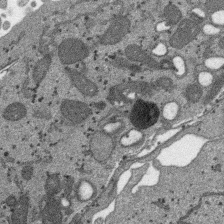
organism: Human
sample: Lung epithelial cells infected with SARS-CoV-2